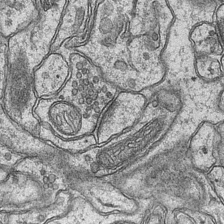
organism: Mouse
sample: CA1 Hippocampus